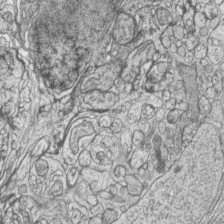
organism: Zebrafish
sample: synaptic ribbons in rod cells and cone cells